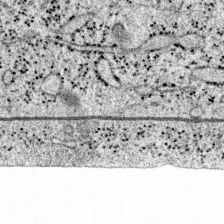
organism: Human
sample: HeLa cells